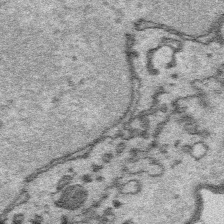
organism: Platynereis dumerilii